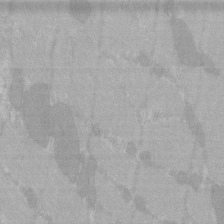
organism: C57BL Mouse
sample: Tibialis anterior muscle cell